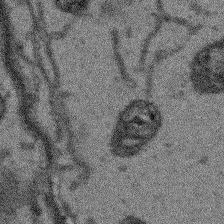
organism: Arabidopsis thaliana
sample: Root tip